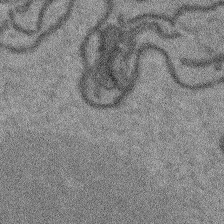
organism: Arabidopsis thaliana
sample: Root tip